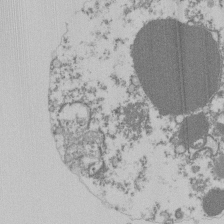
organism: Mouse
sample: Activated Pmel transgenic CD8+ T Cells